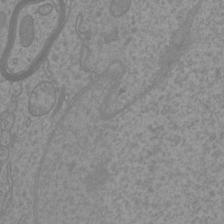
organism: Mouse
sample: Cortical neurons